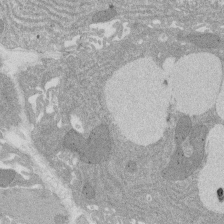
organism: Rat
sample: Salivary granule